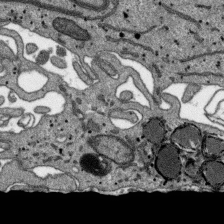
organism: Human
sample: Lung epithelial cells, uninfected (mock) control